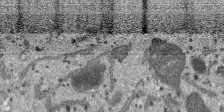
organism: Human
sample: Lung epithelial cells infected with SARS-CoV-2